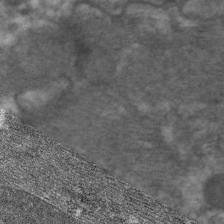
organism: C. elegans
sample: Pharynx